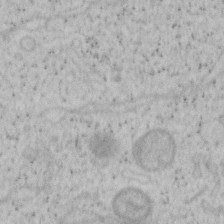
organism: Human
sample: HeLa cells